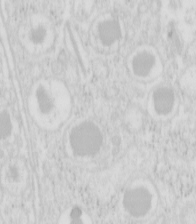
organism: Mouse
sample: Pancreas